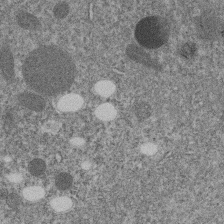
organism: C. elegans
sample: C. elegans embryo early stage